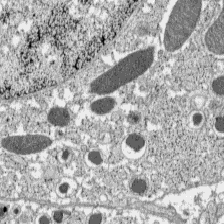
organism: C57BL Mouse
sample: Pancreatic islet